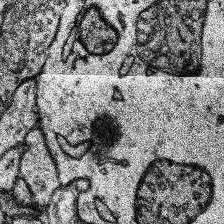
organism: Human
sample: Temporal Lobe